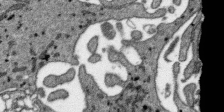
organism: Human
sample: Lung epithelial cells, uninfected (mock) control